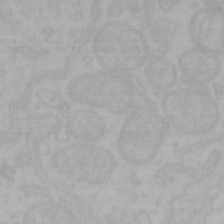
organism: Mouse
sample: Choroid plexus